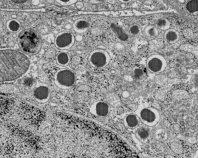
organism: C57BL Mouse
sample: Pancreatic islet